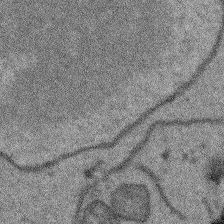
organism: Arabidopsis thaliana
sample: Root tip